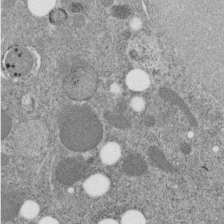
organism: C. elegans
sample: C. elegans embryo early stage